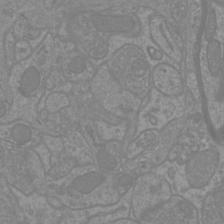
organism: Mouse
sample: Cortical neurons